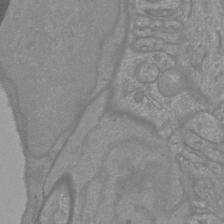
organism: Mouse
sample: Cortical neurons